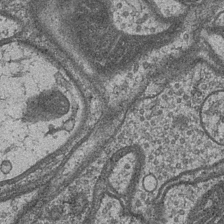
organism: Drosophila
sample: Optic medulla